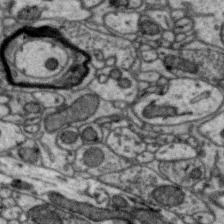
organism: Zebra finch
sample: Brain